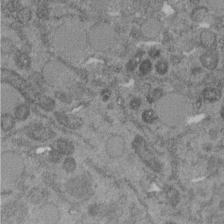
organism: C. elegans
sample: C. elegans embryo early stage